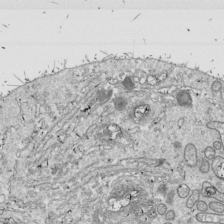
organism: Drosophila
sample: Cell division; meiosis; drosophila spermatocytes